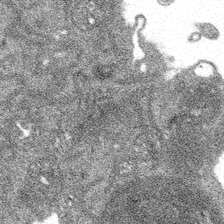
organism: Spongilla lacustris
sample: Multiple